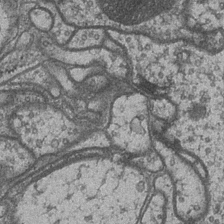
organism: Drosophila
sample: Optic medulla